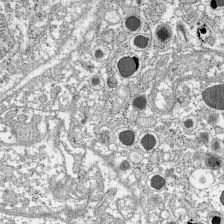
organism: C57BL Mouse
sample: Pancreatic islet